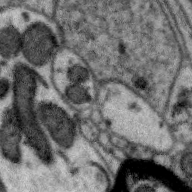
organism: Zebra finch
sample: Brain